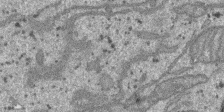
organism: Human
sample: Lung epithelial cells infected with SARS-CoV-2